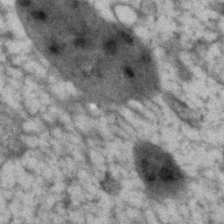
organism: Human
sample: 1205lu cells